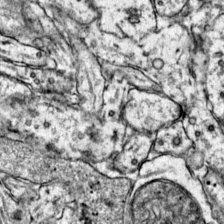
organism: Mouse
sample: Primary visual cortex